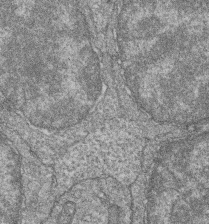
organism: Zebrafish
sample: Cilia; retinal pigment epithelium